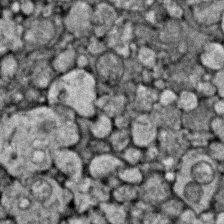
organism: Zebrafish